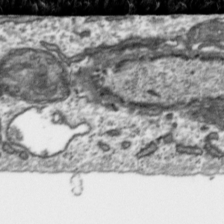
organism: Toxoplasma gondii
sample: Parasites in a vacuole inside a host cell